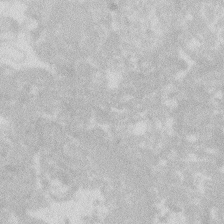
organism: Zebrafish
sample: Macrophage